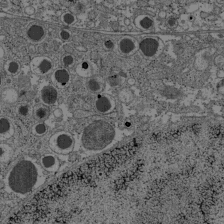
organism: C57BL Mouse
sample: Pancreatic islet